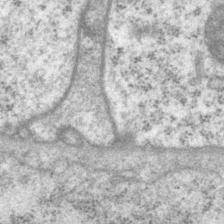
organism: P. pacificus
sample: Pharynx